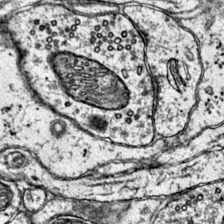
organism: Mouse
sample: Primary visual cortex